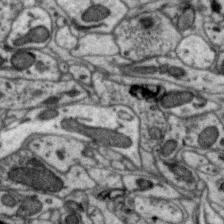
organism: Zebra finch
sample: Brain